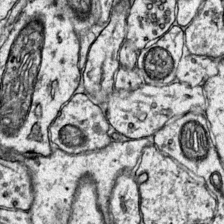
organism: Mouse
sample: Primary visual cortex